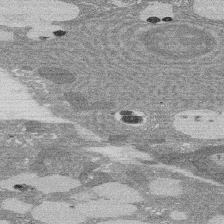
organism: Rat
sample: Salivary granule